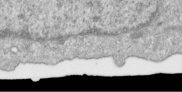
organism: Human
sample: Centriole in RPE cells